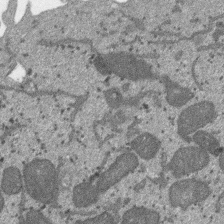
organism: Human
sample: Lung epithelial cells infected with SARS-CoV-2